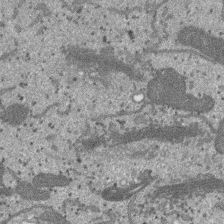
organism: Human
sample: Lung epithelial cells infected with SARS-CoV-2